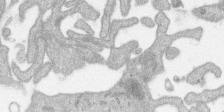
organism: Human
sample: Lung epithelial cells infected with SARS-CoV-2